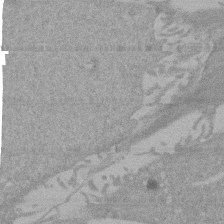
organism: Mouse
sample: ED-1 cell nuclei; centrioles